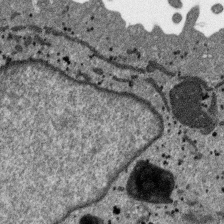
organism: Human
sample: Lung epithelial cells, uninfected (mock) control